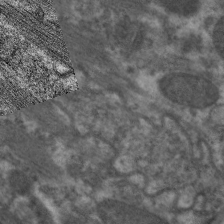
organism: C. elegans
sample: Pharynx